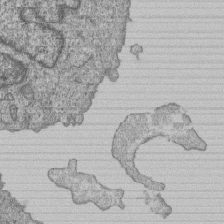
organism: Human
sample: MDA-MB-231 cells